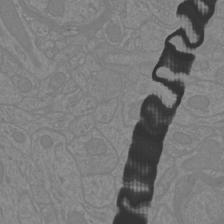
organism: Mouse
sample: Cortical neurons